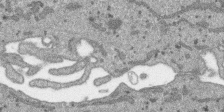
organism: Human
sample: Lung epithelial cells infected with SARS-CoV-2